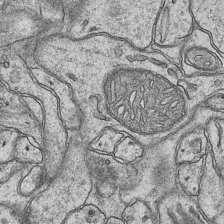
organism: Mouse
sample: CA1 Hippocampus